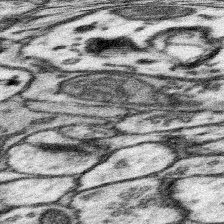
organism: Mouse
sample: Somatosensory cortex neuropil